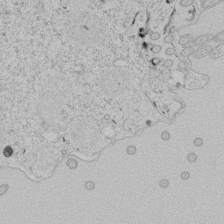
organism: Tetrahymena